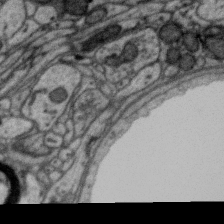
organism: Zebra finch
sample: Brain